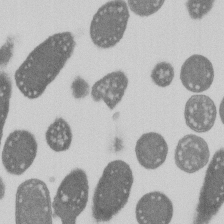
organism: E. coli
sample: Bacterial nucleoid